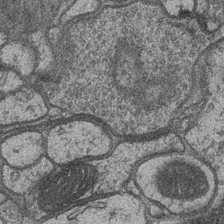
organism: Drosophila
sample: Optic medulla